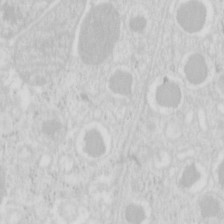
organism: Mouse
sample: Pancreas